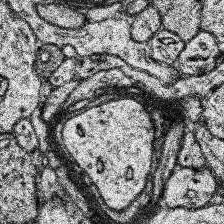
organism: Human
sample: Temporal Lobe